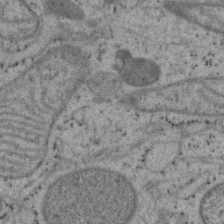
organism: Human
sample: HeLa cells